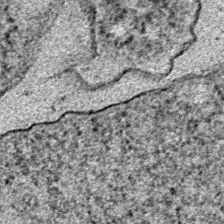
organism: E. coli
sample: E. Coli Bacteria